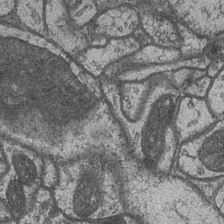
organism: Drosophila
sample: Optic medulla